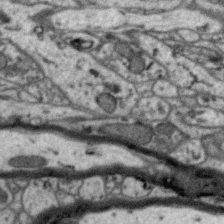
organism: Zebra finch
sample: Brain